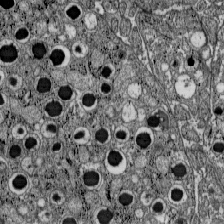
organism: C57BL Mouse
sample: Pancreatic islet